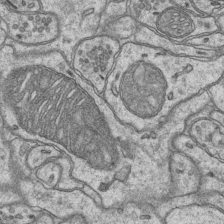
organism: Mouse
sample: CA1 Hippocampus